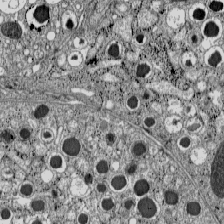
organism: C57BL Mouse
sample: Pancreatic islet